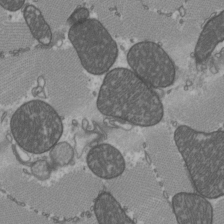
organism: C57BL Mouse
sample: Heart